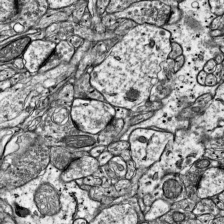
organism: Mouse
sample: Visual Cortex